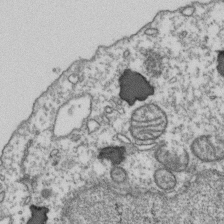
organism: Human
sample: Activated Jurkat CD4+ T cells